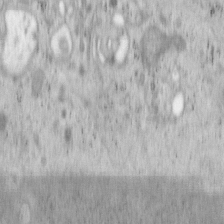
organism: Human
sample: HeLa cells